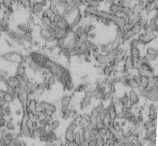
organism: Mouse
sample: Cilia; retinal pigment epithelium